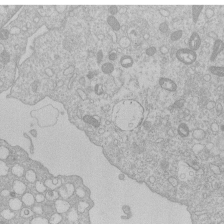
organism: Human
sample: Macrophage cells